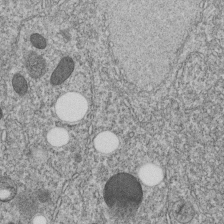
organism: C. elegans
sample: C. elegans embryo early stage